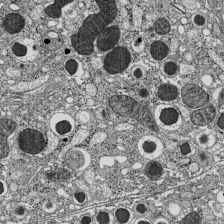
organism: C57BL Mouse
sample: Pancreatic islet